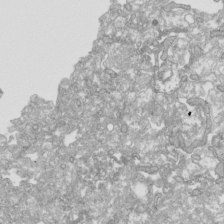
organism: Human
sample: Mitochondria in HCT116 cells